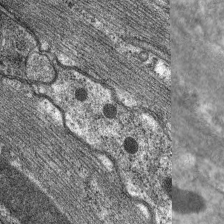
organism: C. elegans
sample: Pharynx